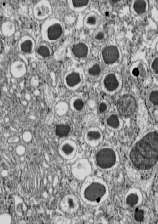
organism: C57BL Mouse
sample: Pancreatic islet